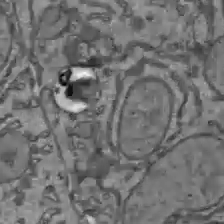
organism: C57BL Mouse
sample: Liver